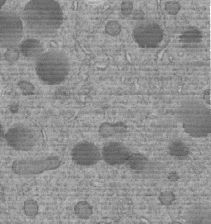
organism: C. elegans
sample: C. elegans embryo early stage